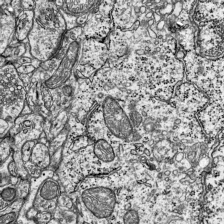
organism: Mouse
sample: Visual Cortex